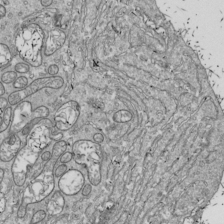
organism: Drosophila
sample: Cell division; meiosis; drosophila spermatocytes